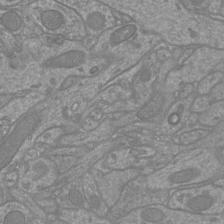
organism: Mouse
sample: Cortical neurons